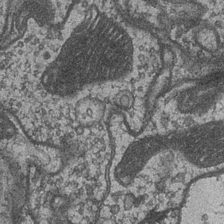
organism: Drosophila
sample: Optic medulla